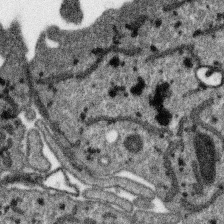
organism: Human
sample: Lung epithelial cells infected with SARS-CoV-2